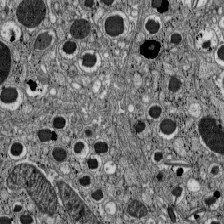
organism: C57BL Mouse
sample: Pancreatic islet